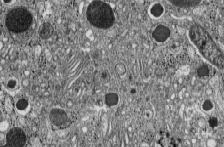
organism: C57BL Mouse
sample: Pancreatic islet